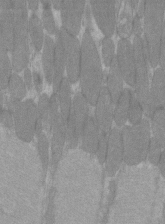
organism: C57BL Mouse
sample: Tibialis anterior muscle cell